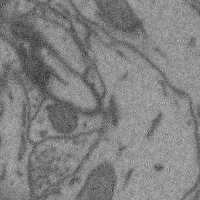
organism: Mouse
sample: Cerebral cortex